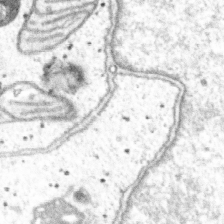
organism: Human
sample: HeLa cells